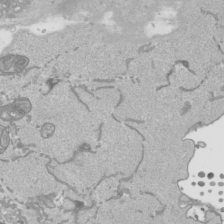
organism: Human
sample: Mitochondria in HCT116 cells